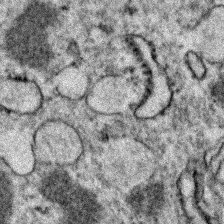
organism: Zebrafish